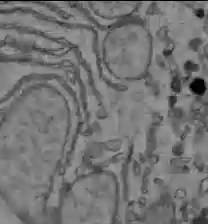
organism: C57BL Mouse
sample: Liver